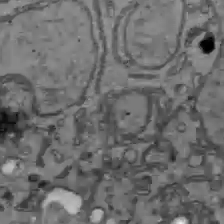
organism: C57BL Mouse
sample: Liver